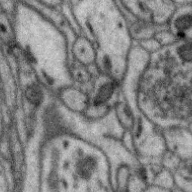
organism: Zebra finch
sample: Brain